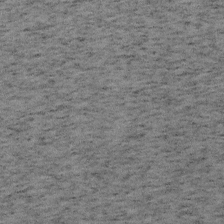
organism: Mouse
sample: OT-I killer T cells with ID8 ovarian cancer cells